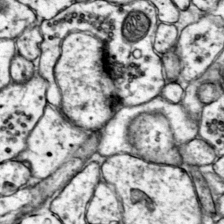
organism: Mouse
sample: Primary visual cortex